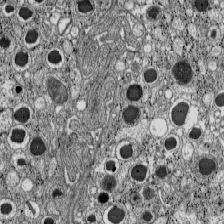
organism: C57BL Mouse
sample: Pancreatic islet